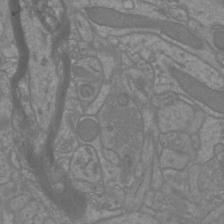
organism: Mouse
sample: Cortical neurons